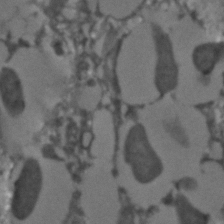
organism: C. elegans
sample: C. elegans embryo